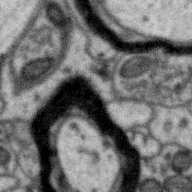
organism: Zebra finch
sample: Brain